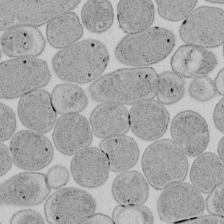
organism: E. coli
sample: Bacterial nucleoid